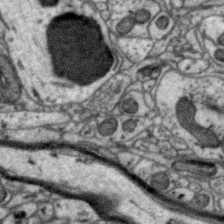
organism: Zebra finch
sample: Brain